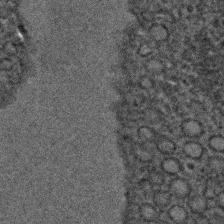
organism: C. elegans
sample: C. elegans embryo